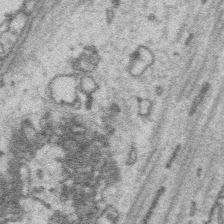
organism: Platynereis dumerilii